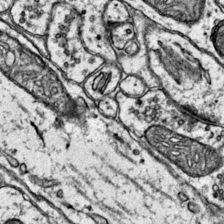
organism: Mouse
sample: Primary visual cortex